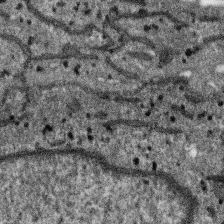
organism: Human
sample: Lung epithelial cells infected with SARS-CoV-2